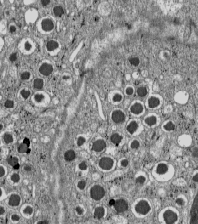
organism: C57BL Mouse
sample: Pancreatic islet